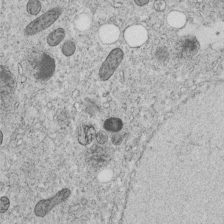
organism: C. elegans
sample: C. elegans embryo early stage